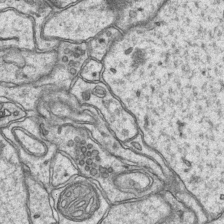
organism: Mouse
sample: CA1 Hippocampus